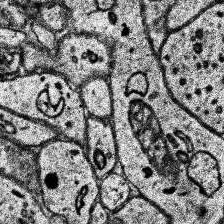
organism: Human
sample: Temporal Lobe